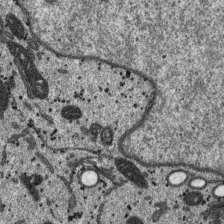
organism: Human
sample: Lung epithelial cells infected with SARS-CoV-2